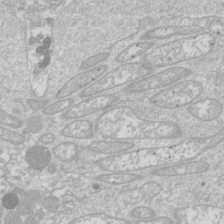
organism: Drosophila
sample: Cell division; meiosis; drosophila spermatocytes